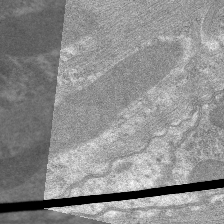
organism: C. elegans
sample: Pharynx